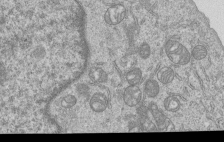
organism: Human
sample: MDA-MB-231 cells